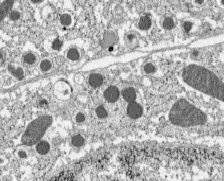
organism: C57BL Mouse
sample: Pancreatic islet